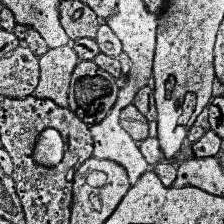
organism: Human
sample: Temporal Lobe